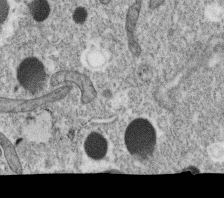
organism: C. elegans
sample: C. elegans oocyte; sperm cells